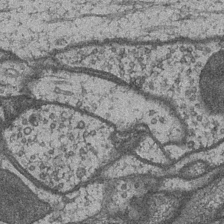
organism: Drosophila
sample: Optic medulla